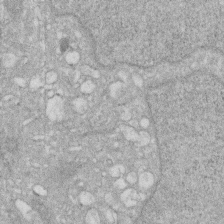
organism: Human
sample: HIV infected U937 cells